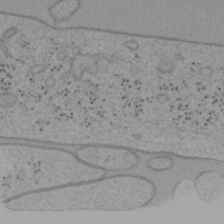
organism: Human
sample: HeLa cells